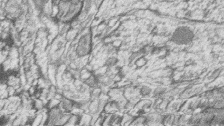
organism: Zebrafish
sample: synaptic ribbons in rod cells and cone cells